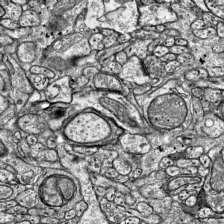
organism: Mouse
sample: Visual Cortex